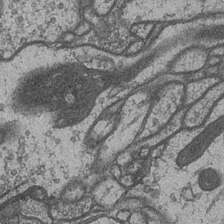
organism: Drosophila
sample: Optic medulla